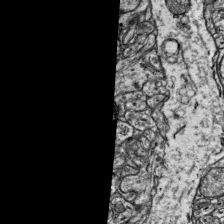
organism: Mouse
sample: Visual Cortex